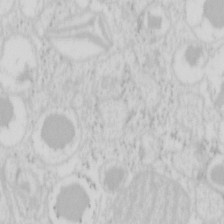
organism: Mouse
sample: Pancreas